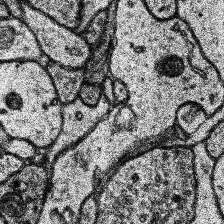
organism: Human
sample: Temporal Lobe